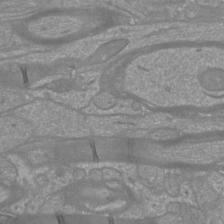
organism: Mouse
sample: Cortical neurons